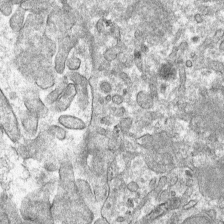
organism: Mouse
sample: Mouse hepatocytes